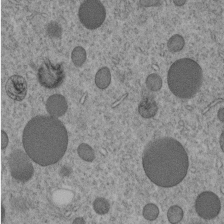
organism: C. elegans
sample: C. elegans embryo early stage